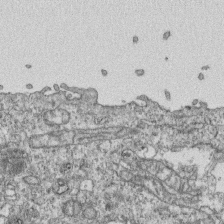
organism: Human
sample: HeLa cell HIV synapse